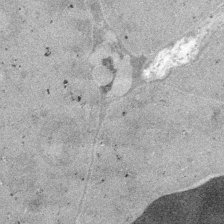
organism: Embia sp.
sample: Silk gland